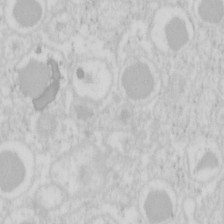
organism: Mouse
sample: Pancreas